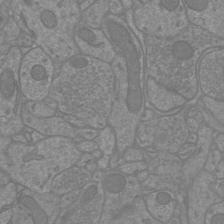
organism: Mouse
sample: Cortical neurons